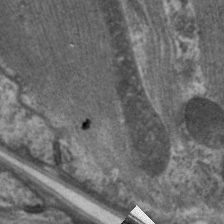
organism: C. elegans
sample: Pharynx